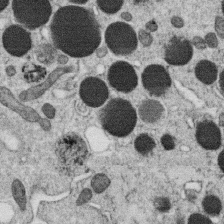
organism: C. elegans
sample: C. elegans oocyte; sperm cells